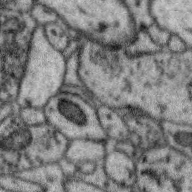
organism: Zebra finch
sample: Brain